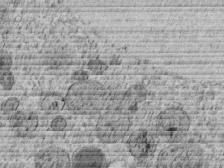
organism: C. elegans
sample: C. elegans embryo early stage